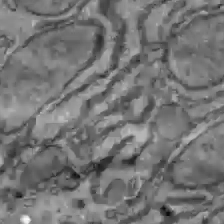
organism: C57BL Mouse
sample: Liver